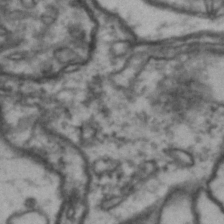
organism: Drosophila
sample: Brain